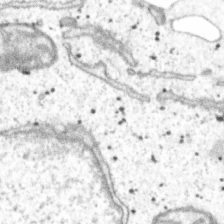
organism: Human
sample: HeLa cells